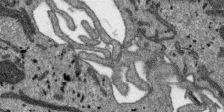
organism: Human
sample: Lung epithelial cells, uninfected (mock) control